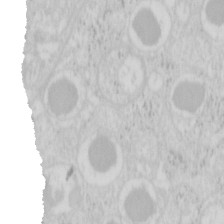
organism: Mouse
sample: Pancreas